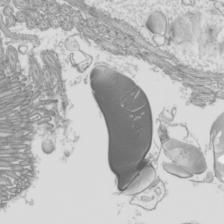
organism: Mouse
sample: Cilia; mouse epididymis